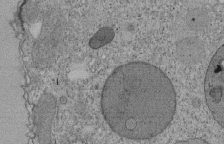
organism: Tetrahymena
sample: Cilia in tetrahymena